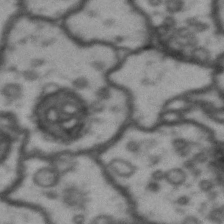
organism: Drosophila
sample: Brain